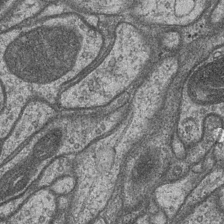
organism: Drosophila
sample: Optic medulla